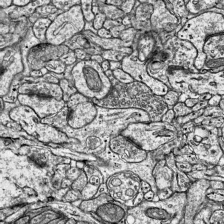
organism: Mouse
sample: Visual Cortex